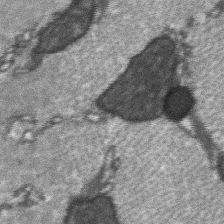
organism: C57BL Mouse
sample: Soleus